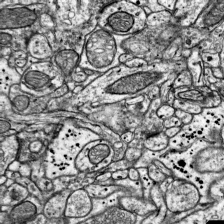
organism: Mouse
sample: Visual Cortex